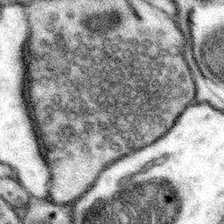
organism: Mouse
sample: Somatosensory cortex neuropil